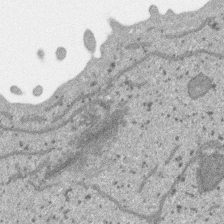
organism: Human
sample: Lung epithelial cells infected with SARS-CoV-2